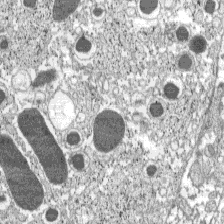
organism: C57BL Mouse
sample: Pancreatic islet